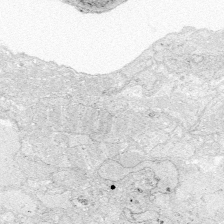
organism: Zebrafish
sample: Whole-Brain